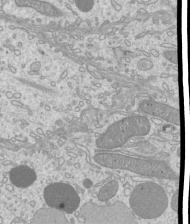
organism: Mouse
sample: Cilia; mouse epididymis